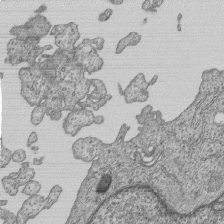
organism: Human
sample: MDA-MB-231 cells